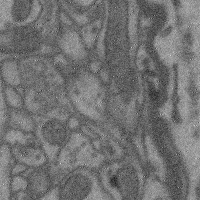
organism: Mouse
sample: Cerebral cortex